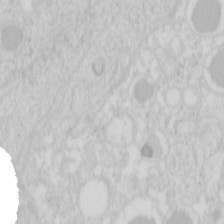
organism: Mouse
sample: Pancreas